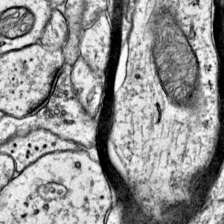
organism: Mouse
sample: Primary visual cortex